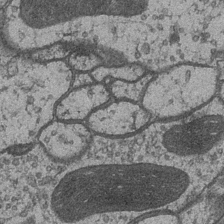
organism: Drosophila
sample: Optic medulla